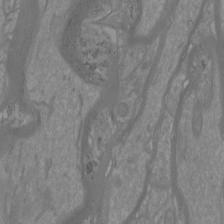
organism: Mouse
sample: Cortical neurons